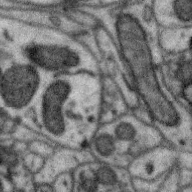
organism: Zebra finch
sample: Brain